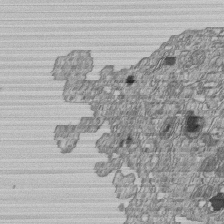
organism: Human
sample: MDA-MB-231 cells